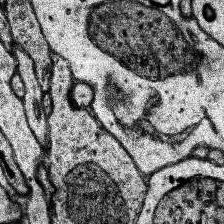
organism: Human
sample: Temporal Lobe